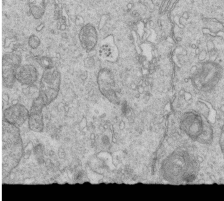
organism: Mouse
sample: Multiciliated cells